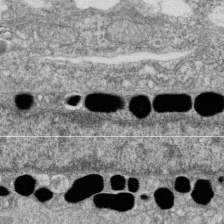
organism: Zebrafish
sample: Cilia; retinal pigment epithelium